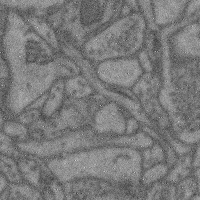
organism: Mouse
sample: Cerebral cortex